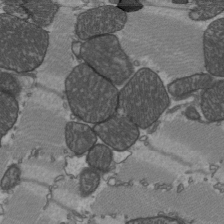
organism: C57BL Mouse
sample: Heart